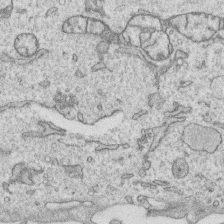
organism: Human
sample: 1205lu cells